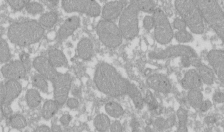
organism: Xenopus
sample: Cilia; centrioles in frog embryo cells